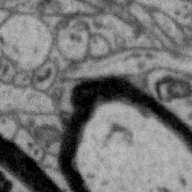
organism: Zebra finch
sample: Brain